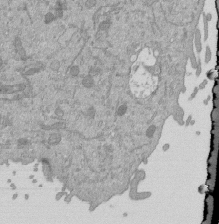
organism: Mouse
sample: ED-1 cell nuclei; centrioles